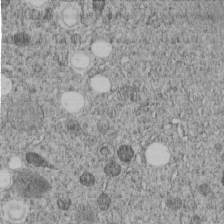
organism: C. elegans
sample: C. elegans embryo early stage